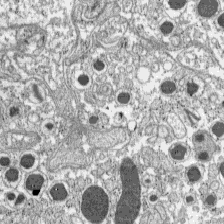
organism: C57BL Mouse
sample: Pancreatic islet